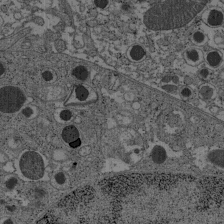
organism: C57BL Mouse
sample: Pancreatic islet